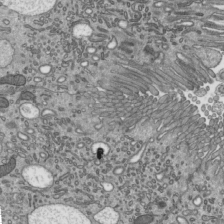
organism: Mouse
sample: Mouse epididymis efferent ductule cilia